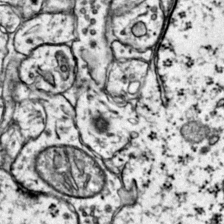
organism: Mouse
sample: Primary visual cortex